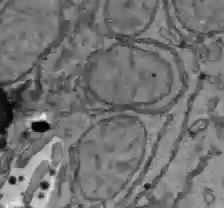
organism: C57BL Mouse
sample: Liver